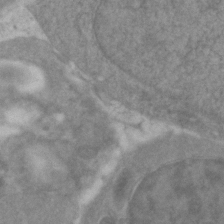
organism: Zebrafish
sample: Zebrafish embryo